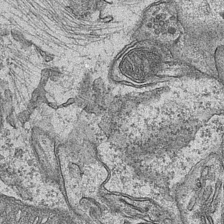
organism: Mouse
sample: CA1 Hippocampus